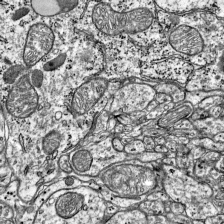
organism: Mouse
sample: Visual Cortex